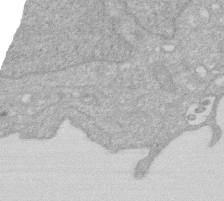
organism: Human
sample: HIV infected U937 cells